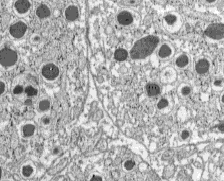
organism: C57BL Mouse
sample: Pancreatic islet